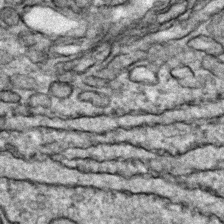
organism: Zebrafish